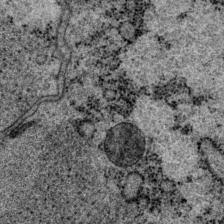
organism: P. pacificus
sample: Pharynx